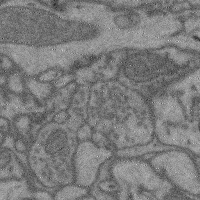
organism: Mouse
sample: Cerebral cortex